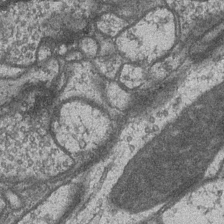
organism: Drosophila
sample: Optic medulla